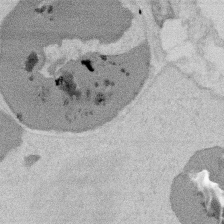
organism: Mouse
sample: T cell stromal cell synapse